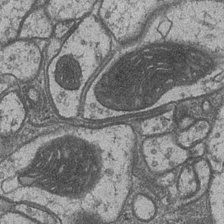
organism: Drosophila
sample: Optic medulla